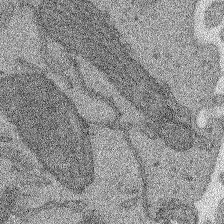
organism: Human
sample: HeLa cells